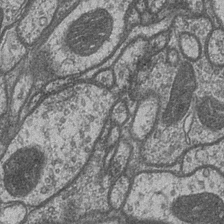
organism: Drosophila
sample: Optic medulla